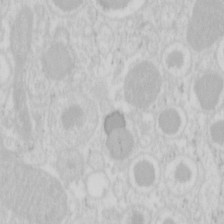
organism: Mouse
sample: Pancreas